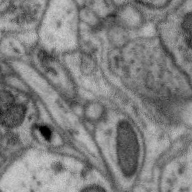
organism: Zebra finch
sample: Brain